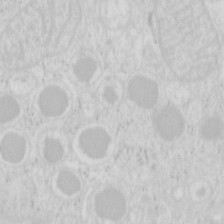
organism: Mouse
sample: Pancreas